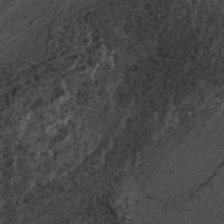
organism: C. elegans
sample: C. elegans embryo